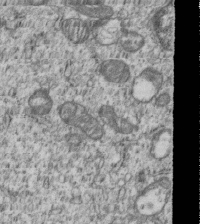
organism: Human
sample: MDA-MB-231 cells